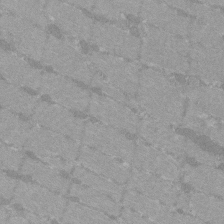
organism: C57BL Mouse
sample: Tibialis anterior muscle cell